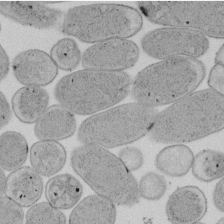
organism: E. coli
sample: Bacterial nucleoid